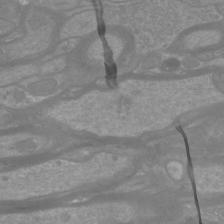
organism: Mouse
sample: Cortical neurons